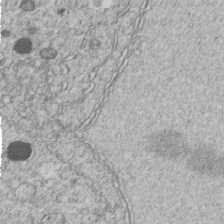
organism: C. elegans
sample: C. elegans embryo early stage